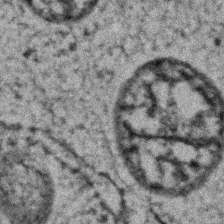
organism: Zebrafish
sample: Zebrafish embryo